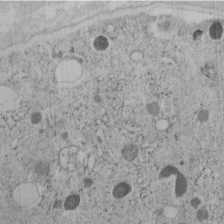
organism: C. elegans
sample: C. elegans embryo early stage